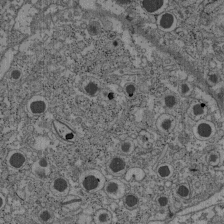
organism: C57BL Mouse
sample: Pancreatic islet